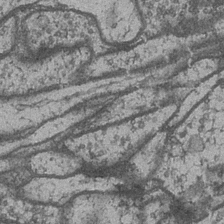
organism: Drosophila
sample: Optic medulla